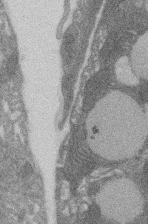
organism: Rat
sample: Salivary granule